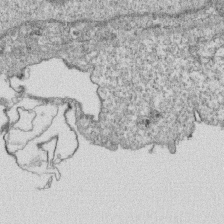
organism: Human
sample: HeLa cell HIV synapse